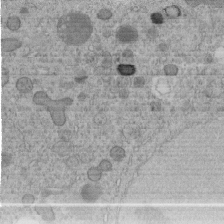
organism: C. elegans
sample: C. elegans embryo early stage